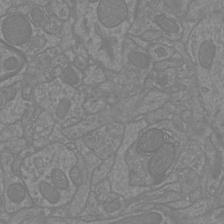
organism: Mouse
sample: Cortical neurons